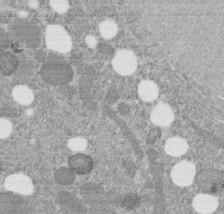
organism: C. elegans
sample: C. elegans embryo early stage